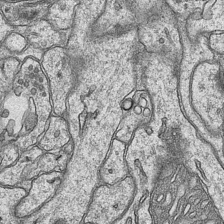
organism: Mouse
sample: CA1 Hippocampus